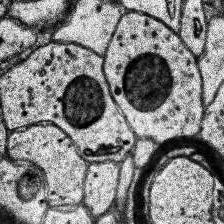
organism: Human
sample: Temporal Lobe